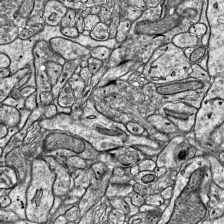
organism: Mouse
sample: Visual Cortex